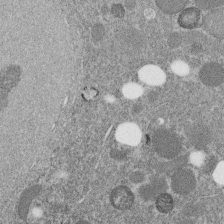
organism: C. elegans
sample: C. elegans embryo early stage